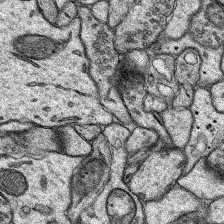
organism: Rat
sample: Hippocampus